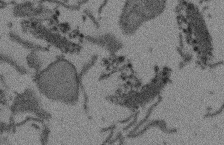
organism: Arabidopsis thaliana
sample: Root tip